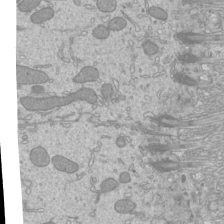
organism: Mouse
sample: Cilia; mouse epididymis